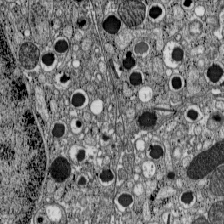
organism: C57BL Mouse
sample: Pancreatic islet